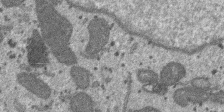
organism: Human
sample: Lung epithelial cells infected with SARS-CoV-2